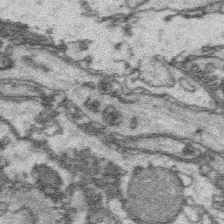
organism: Platynereis dumerilii